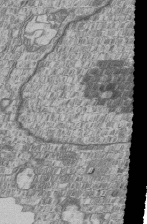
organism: Human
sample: MDA-MB-231 cells